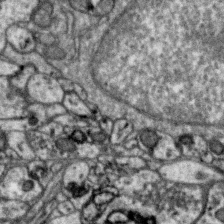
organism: Zebra finch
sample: Brain